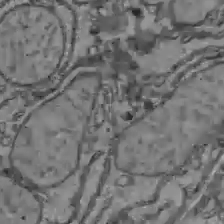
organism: C57BL Mouse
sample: Liver